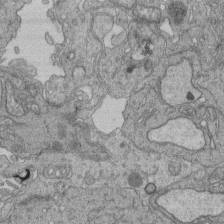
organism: Human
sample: Retinal organoid Rod and Cone cells